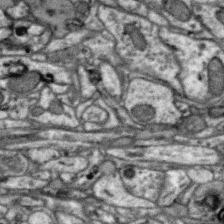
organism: Zebra finch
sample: Brain